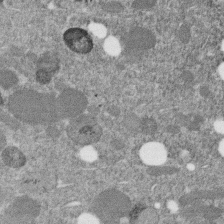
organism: C. elegans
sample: C. elegans embryo early stage